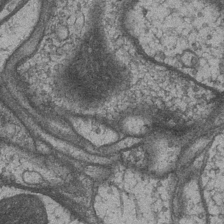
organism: Drosophila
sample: Optic medulla